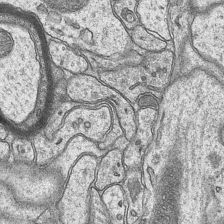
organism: Mouse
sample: CA1 Hippocampus